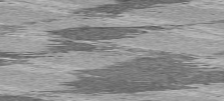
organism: C57BL Mouse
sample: Heart